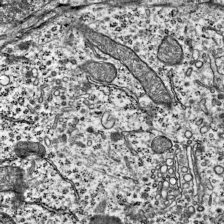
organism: Mouse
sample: Visual Cortex